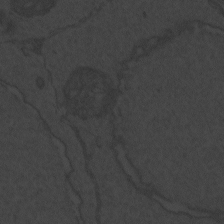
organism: Zebrafish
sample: Macrophage infected with Toxoplasma gondii